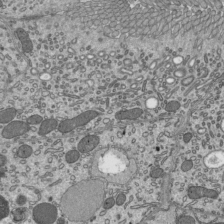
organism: Mouse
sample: Mouse epididymis efferent ductule cilia